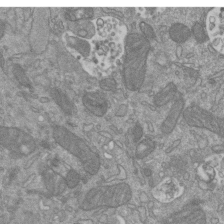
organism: Mouse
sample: ED-1 cell nuclei; centrioles